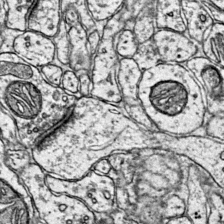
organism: Mouse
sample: Primary visual cortex